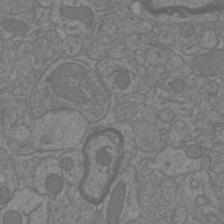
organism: Mouse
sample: Cortical neurons